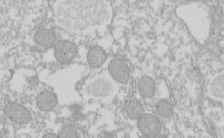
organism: Xenopus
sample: Cilia; centrioles in frog embryo cells